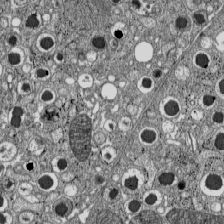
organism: C57BL Mouse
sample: Pancreatic islet